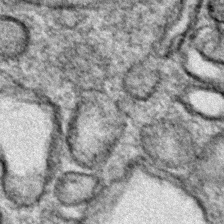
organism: Zebrafish